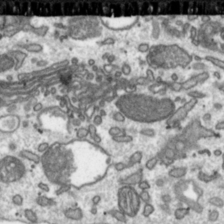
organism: Toxoplasma gondii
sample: Parasites in a vacuole inside a host cell